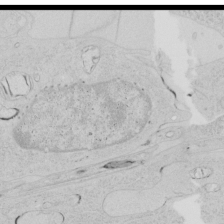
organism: Human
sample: Mitochondria in HCT116 cells